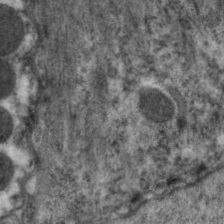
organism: C. elegans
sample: Pharynx